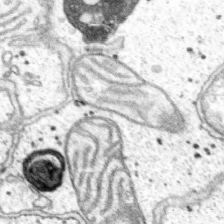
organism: Human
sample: HeLa cells